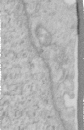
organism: Human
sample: Centriole in RPE cells